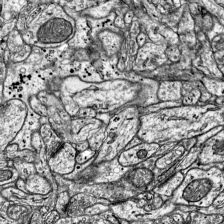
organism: Mouse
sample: Visual Cortex